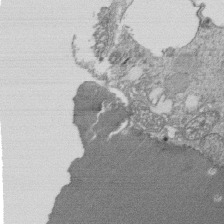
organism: Tetrahymena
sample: Cilia in tetrahymena